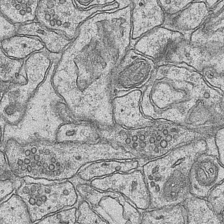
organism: Mouse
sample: CA1 Hippocampus